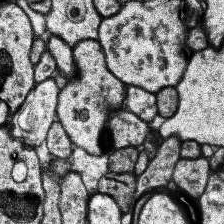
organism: Human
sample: Temporal Lobe